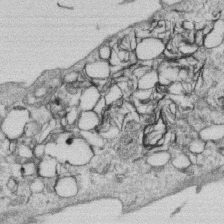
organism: Human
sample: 1205lu cells